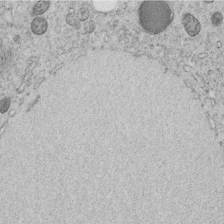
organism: C. elegans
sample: C. elegans embryo early stage